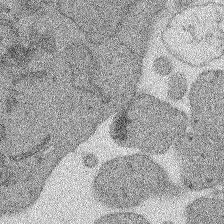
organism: Human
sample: HeLa cells